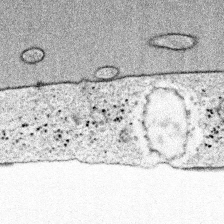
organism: Human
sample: HeLa cells